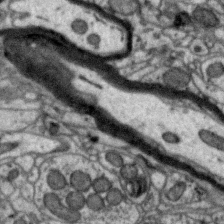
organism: Zebra finch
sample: Brain